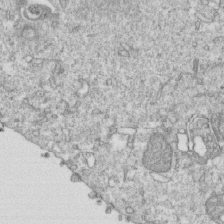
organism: Mouse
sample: Activated OT-1 CD8+ T cells